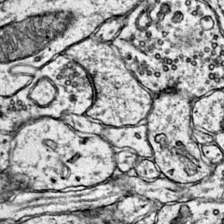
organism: Mouse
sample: Primary visual cortex